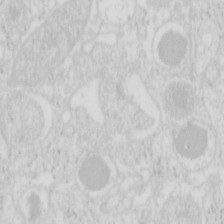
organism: Mouse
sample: Pancreas